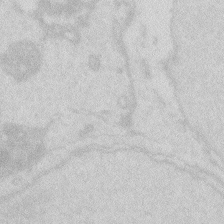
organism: Zebrafish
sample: Macrophage